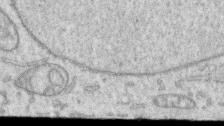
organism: Human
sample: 1205lu cells